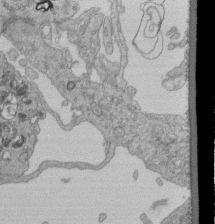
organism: Human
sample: Retinal organoid Rod and Cone cells